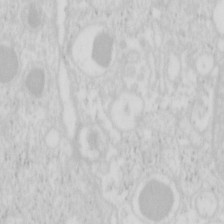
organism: Mouse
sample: Pancreas